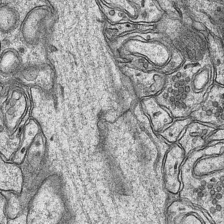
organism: Mouse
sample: CA1 Hippocampus